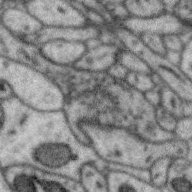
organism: Zebra finch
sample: Brain